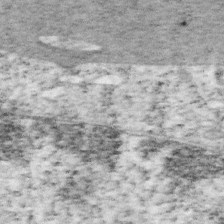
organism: Mouse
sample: OT-I killer T cells with ID8 ovarian cancer cells